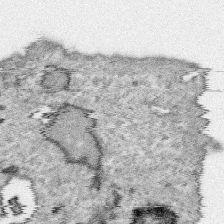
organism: Human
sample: HeLa cells